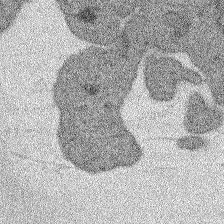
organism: Human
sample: HeLa cells